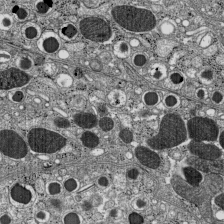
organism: C57BL Mouse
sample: Pancreatic islet